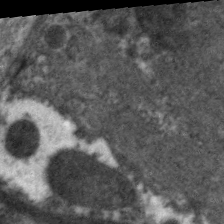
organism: C. elegans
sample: Pharynx